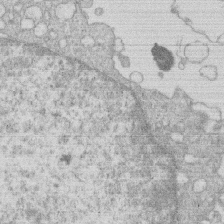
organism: Human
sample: Macrophage cells